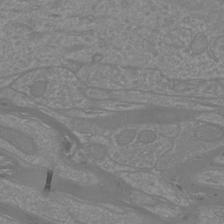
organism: Mouse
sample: Cortical neurons